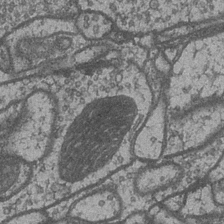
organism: Drosophila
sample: Optic medulla